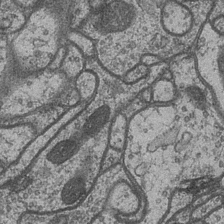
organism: Drosophila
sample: Optic medulla